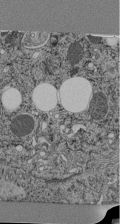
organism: C. elegans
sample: C. elegans pharynx